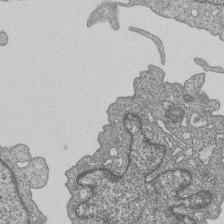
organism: Human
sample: MDA-MB-231 cells